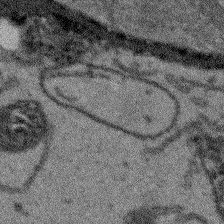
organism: Arabidopsis thaliana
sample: Root tip